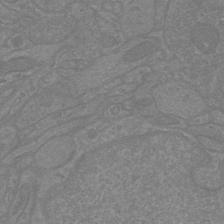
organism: Mouse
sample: Cortical neurons